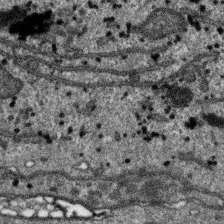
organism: Human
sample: Lung epithelial cells infected with SARS-CoV-2